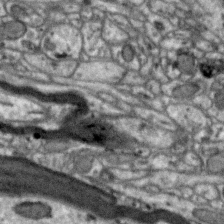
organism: Zebra finch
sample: Brain